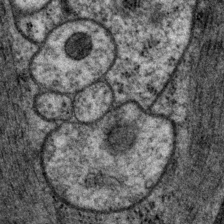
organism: P. pacificus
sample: Pharynx